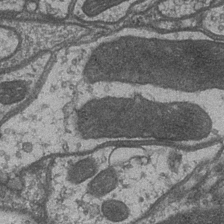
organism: Drosophila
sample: Optic medulla